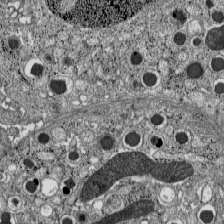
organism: C57BL Mouse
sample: Pancreatic islet